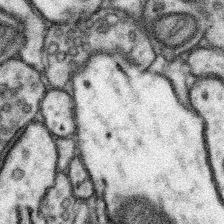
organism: Mouse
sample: Somatosensory cortex neuropil